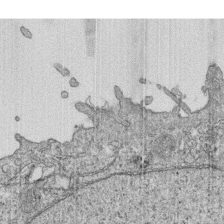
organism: Human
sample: HeLa cell HIV synapse